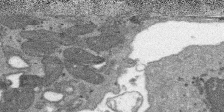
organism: Human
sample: Lung epithelial cells infected with SARS-CoV-2